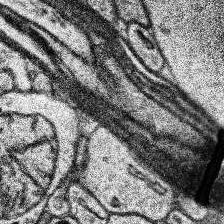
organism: Human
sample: Temporal Lobe